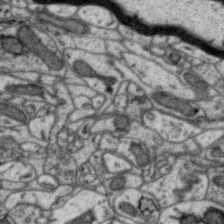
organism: Zebra finch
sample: Brain